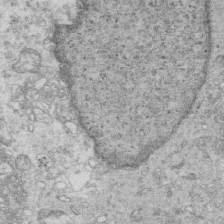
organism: Mouse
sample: Multiciliated cells